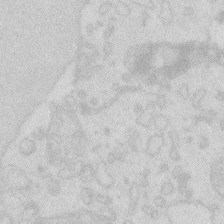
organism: Zebrafish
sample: Macrophage